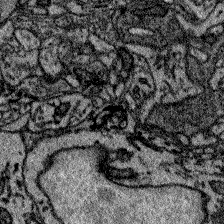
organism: Zebrafish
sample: Larval olfactory bulb